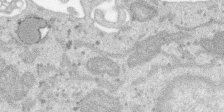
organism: Human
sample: Lung epithelial cells infected with SARS-CoV-2